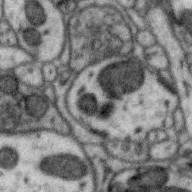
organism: Zebra finch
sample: Brain